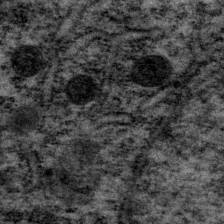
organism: P. pacificus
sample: Pharynx